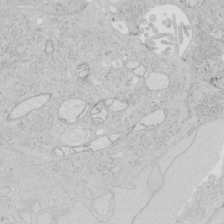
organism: Human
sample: Mitochondria in HCT116 cells